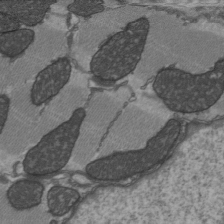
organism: C57BL Mouse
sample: Heart